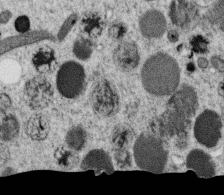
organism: C. elegans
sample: C. elegans oocyte; sperm cells